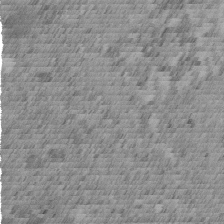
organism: C. elegans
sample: C. elegans embryo early stage